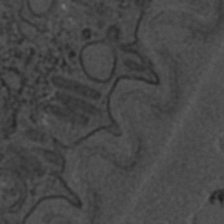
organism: C. elegans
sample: C. elegans embryo